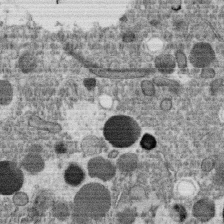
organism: C. elegans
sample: C. elegans oocyte; sperm cells